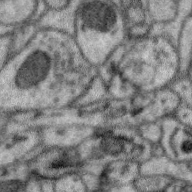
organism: Zebra finch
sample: Brain